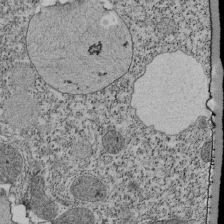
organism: Tetrahymena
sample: Cilia in tetrahymena